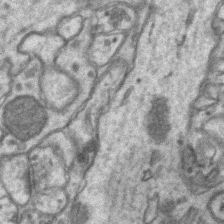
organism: Mouse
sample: CA1 Hippocampus